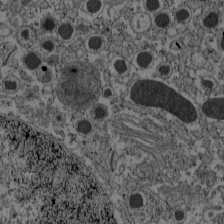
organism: C57BL Mouse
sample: Pancreatic islet